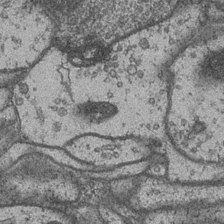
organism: Drosophila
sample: Optic medulla